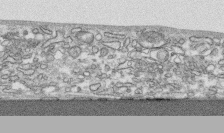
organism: Human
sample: CRL-1474